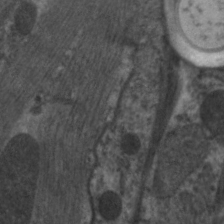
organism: C. elegans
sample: Pharynx